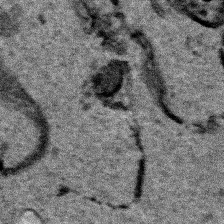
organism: Human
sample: Mitochondria in HCT116 cells